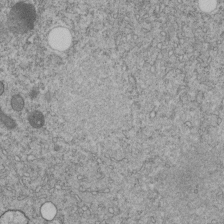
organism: C. elegans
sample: C. elegans embryo early stage